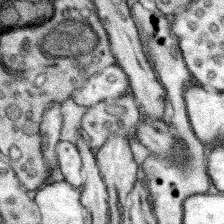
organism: Mouse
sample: Somatosensory cortex neuropil